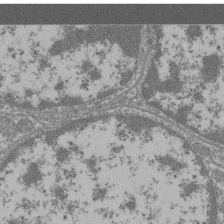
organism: Mouse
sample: Glomerulus